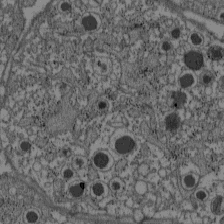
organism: C57BL Mouse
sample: Pancreatic islet